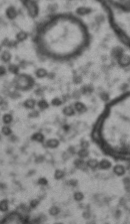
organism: Drosophila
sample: Brain